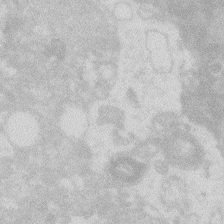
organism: Zebrafish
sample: Macrophage